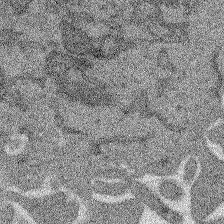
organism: Human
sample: HeLa cells